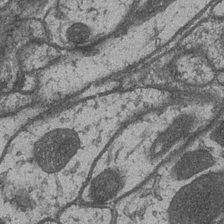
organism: Drosophila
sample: Optic medulla